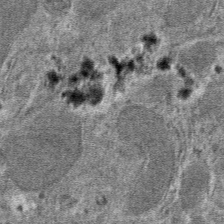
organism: Mouse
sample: Mouse hepatocytes